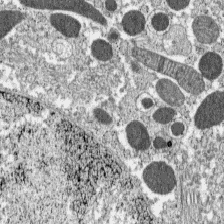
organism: C57BL Mouse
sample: Pancreatic islet